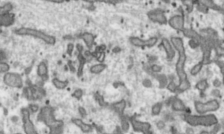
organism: Toxoplasma gondii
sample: Parasites in a vacuole inside a host cell